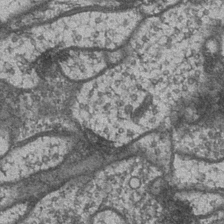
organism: Drosophila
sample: Optic medulla